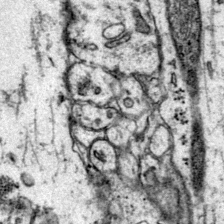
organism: Mouse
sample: Primary visual cortex